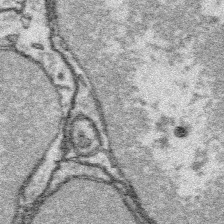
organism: Platynereis dumerilii